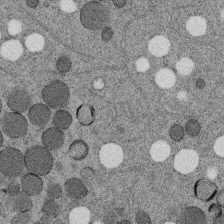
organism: C. elegans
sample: C. elegans embryo early stage